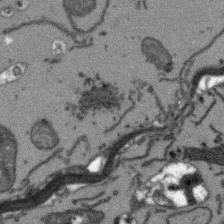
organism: Arabidopsis thaliana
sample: Root tip